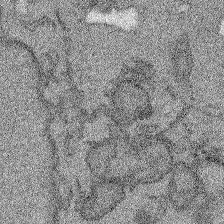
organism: Human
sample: HeLa cells